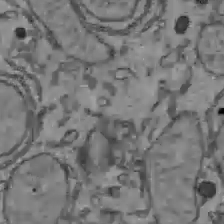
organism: C57BL Mouse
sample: Liver